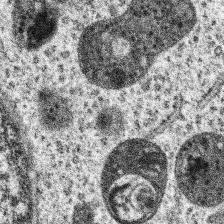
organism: Human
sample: HeLa cells